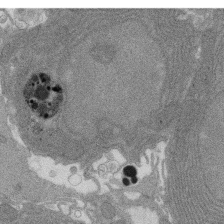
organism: Rat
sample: Salivary granule